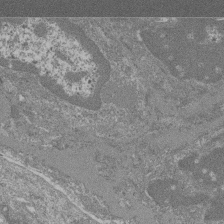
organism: Mouse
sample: Glomerulus